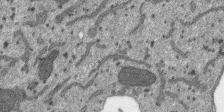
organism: Human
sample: Lung epithelial cells infected with SARS-CoV-2